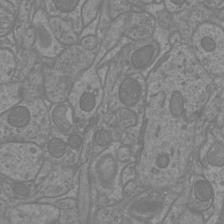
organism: Mouse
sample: Cortical neurons